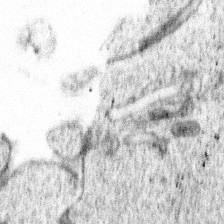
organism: Human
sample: HeLa cells